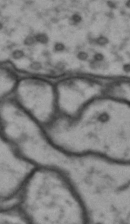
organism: Drosophila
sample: Brain